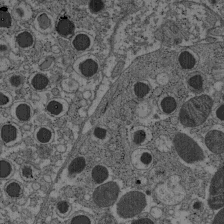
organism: C57BL Mouse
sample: Pancreatic islet